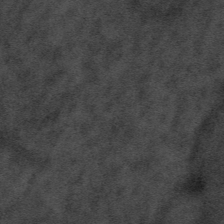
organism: Tuwongella immobilis